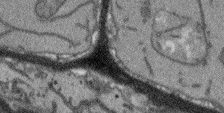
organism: Arabidopsis thaliana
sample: Root tip